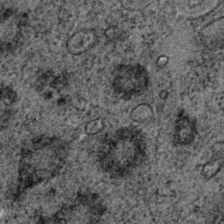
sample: Trachea